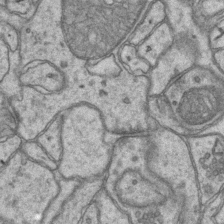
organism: Mouse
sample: CA1 Hippocampus